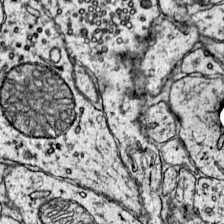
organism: Mouse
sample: Primary visual cortex